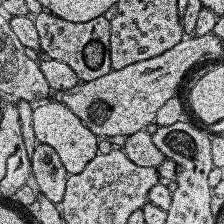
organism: Human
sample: Temporal Lobe